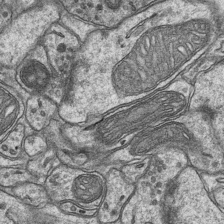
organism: Mouse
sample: CA1 Hippocampus